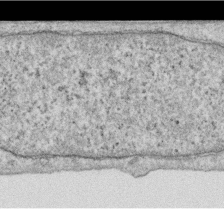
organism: Human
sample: Centriole in RPE cells